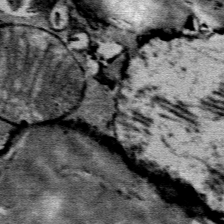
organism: Mouse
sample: Mouse Salivary gland